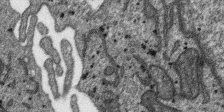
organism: Human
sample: Lung epithelial cells infected with SARS-CoV-2